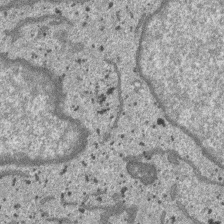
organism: Human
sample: Lung epithelial cells infected with SARS-CoV-2